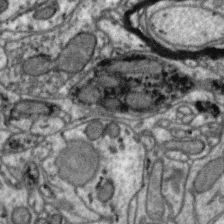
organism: Zebra finch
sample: Brain